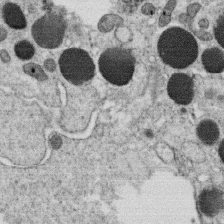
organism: C. elegans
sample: C. elegans oocyte; sperm cells